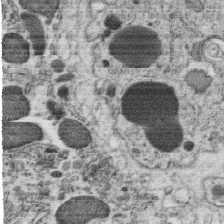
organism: C. elegans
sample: C. elegans oocyte; sperm cells